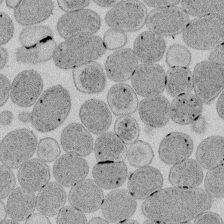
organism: E. coli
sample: Bacterial nucleoid